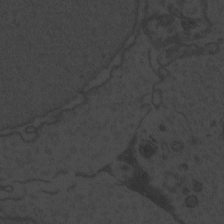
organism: Zebrafish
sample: Macrophage infected with Toxoplasma gondii